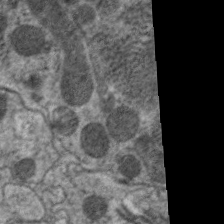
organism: C. elegans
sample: Pharynx